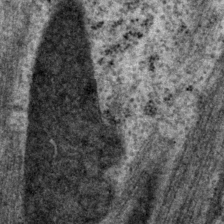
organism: P. pacificus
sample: Pharynx